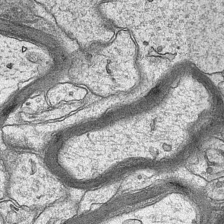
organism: Mouse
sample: CA1 Hippocampus